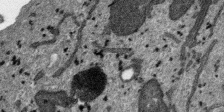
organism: Human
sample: Lung epithelial cells, uninfected (mock) control